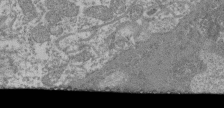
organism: Mouse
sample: Glomerulus